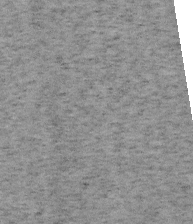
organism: Mouse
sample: OT-I killer T cells with ID8 ovarian cancer cells